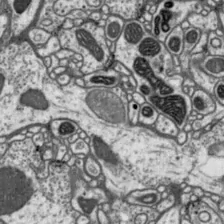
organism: Drosophila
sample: Protocerebral bridge